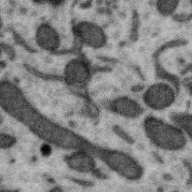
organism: Zebra finch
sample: Brain